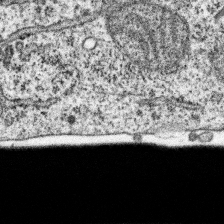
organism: Human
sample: HeLa cells